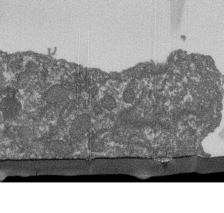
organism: Dictyostelium discoideum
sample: Dictyostelium multivesicular bodies